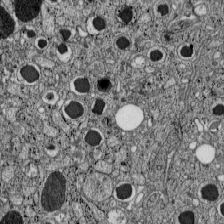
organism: C57BL Mouse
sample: Pancreatic islet